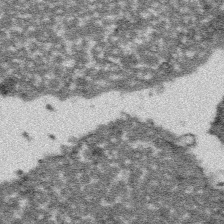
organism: Platynereis dumerilii